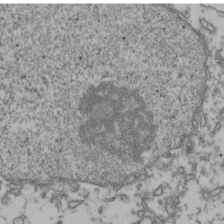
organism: Human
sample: Activated Jurkat CD4+ T cells